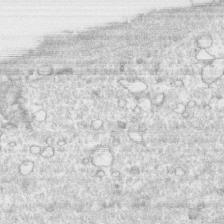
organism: Human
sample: CRL-1474